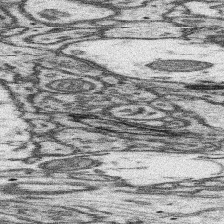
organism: Mouse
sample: Somatosensory cortex neuropil